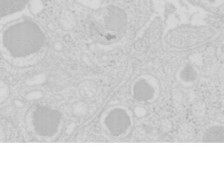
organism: Mouse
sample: Pancreas